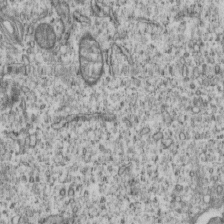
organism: Human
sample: MDA-MB-231 cells